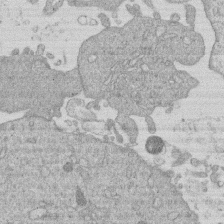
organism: Human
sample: Macrophage cells